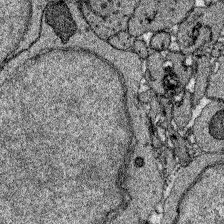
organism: Zebrafish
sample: Larval olfactory bulb